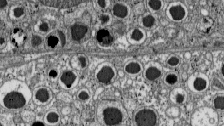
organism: C57BL Mouse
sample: Pancreatic islet